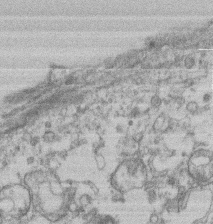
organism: Mouse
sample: T cell stromal cell synapse